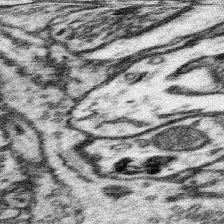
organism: Mouse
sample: Somatosensory cortex neuropil